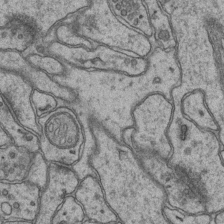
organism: Mouse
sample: CA1 Hippocampus